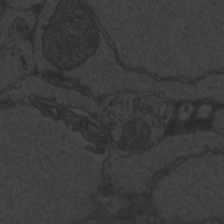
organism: Zebrafish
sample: Macrophage infected with Toxoplasma gondii